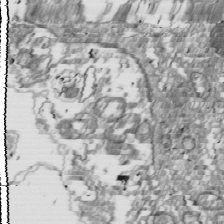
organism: Drosophila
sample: Cell division; meiosis; drosophila spermatocytes